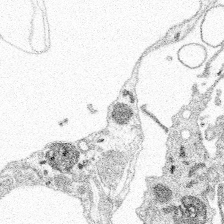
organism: Spongilla lacustris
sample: Multiple